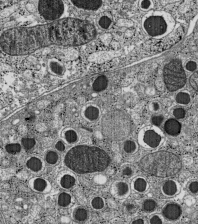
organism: C57BL Mouse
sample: Pancreatic islet